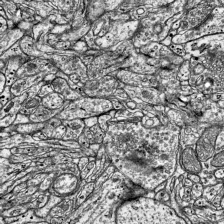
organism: Mouse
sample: Visual Cortex